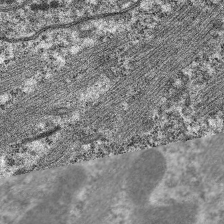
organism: C. elegans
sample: Pharynx